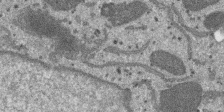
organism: Human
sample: Lung epithelial cells infected with SARS-CoV-2